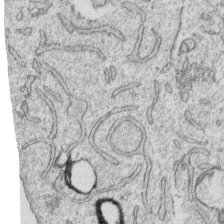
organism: Human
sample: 1205lu cells